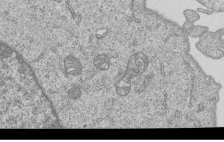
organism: Human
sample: MDA-MB-231 cells